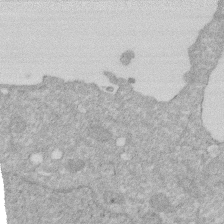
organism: Human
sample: HIV infected U937 cells